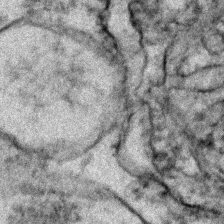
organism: Zebrafish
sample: Zebrafish embryo